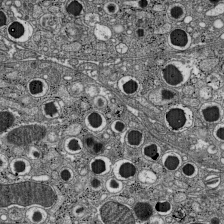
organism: C57BL Mouse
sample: Pancreatic islet